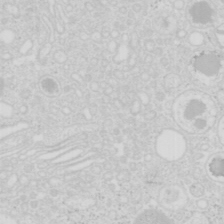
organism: Mouse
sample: Pancreas